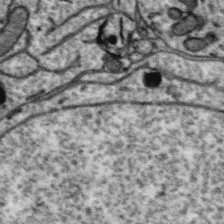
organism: Zebra finch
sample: Brain